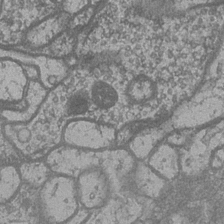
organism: Drosophila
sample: Optic medulla